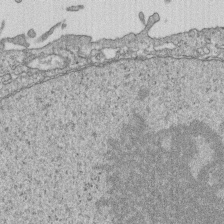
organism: Human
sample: HeLa cell HIV synapse